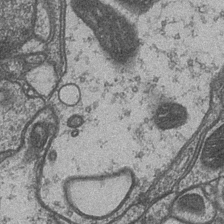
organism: Drosophila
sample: Optic medulla